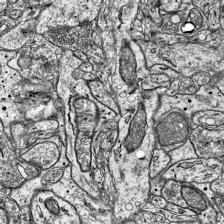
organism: Mouse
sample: Visual Cortex